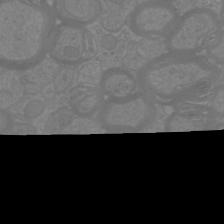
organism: Mouse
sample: Cortical neurons